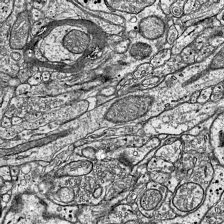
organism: Mouse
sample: Visual Cortex